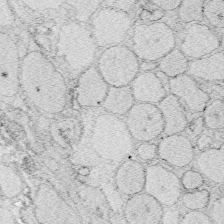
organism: Zebrafish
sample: Whole-Brain